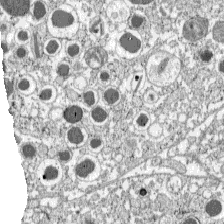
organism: C57BL Mouse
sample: Pancreatic islet